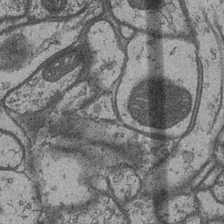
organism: Drosophila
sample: Optic medulla